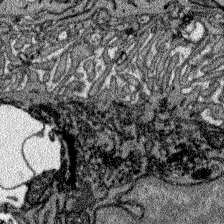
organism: Zebrafish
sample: Larval olfactory bulb